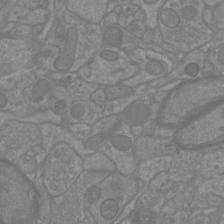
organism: Mouse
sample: Cortical neurons